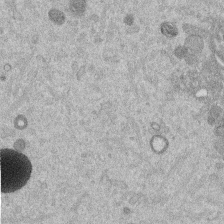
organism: Mouse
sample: Dividing mouse embryo 1 cell stage